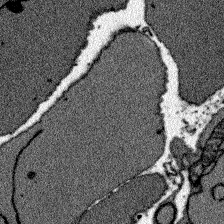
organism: Zebrafish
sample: Larval olfactory bulb